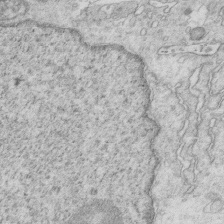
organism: Mouse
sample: Multiciliated cells